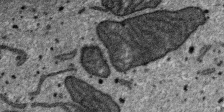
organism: Human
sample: Lung epithelial cells, uninfected (mock) control